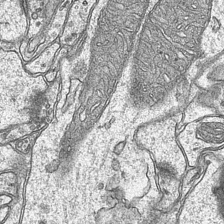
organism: Mouse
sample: CA1 Hippocampus